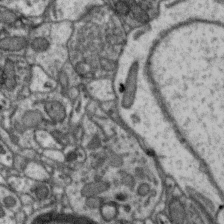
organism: Zebra finch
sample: Brain